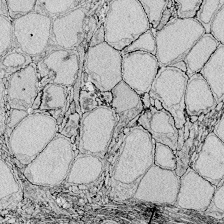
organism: Zebrafish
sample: Whole-Brain